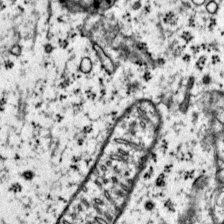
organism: Mouse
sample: Primary visual cortex